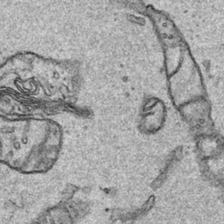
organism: Human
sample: Mitochondria in HCT116 cells